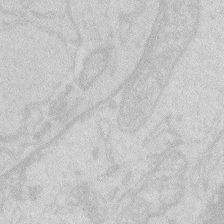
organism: Zebrafish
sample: Macrophage